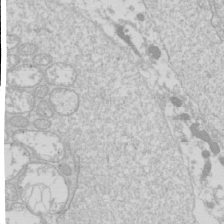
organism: Drosophila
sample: Cell division; meiosis; drosophila spermatocytes